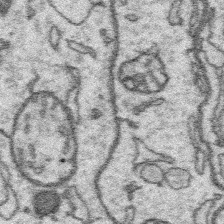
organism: Platynereis dumerilii